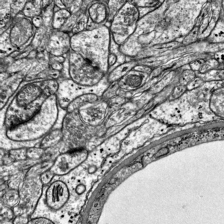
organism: Mouse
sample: Visual Cortex